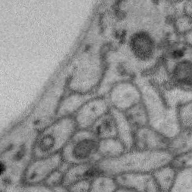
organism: Zebra finch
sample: Brain